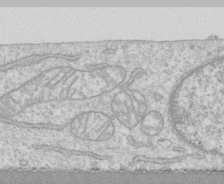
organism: Human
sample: CRL-1474